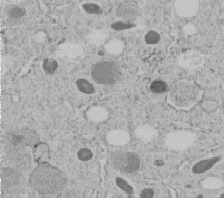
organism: C. elegans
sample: C. elegans embryo early stage